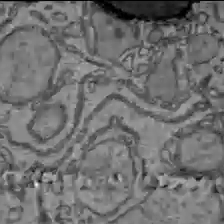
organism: C57BL Mouse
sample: Liver